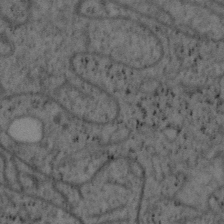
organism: Human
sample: HeLa cells